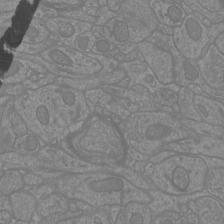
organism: Mouse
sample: Cortical neurons